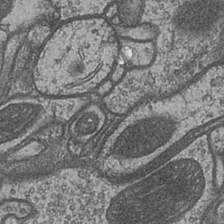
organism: Drosophila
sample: Optic medulla